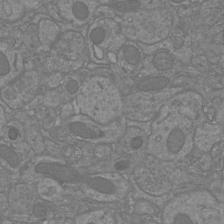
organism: Mouse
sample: Cortical neurons